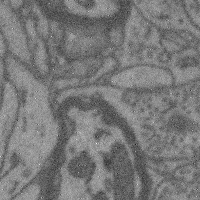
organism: Mouse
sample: Cerebral cortex